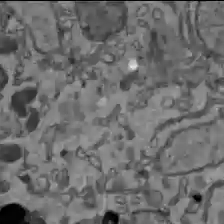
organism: C57BL Mouse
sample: Liver